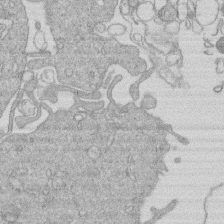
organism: Human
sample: Macrophage cells